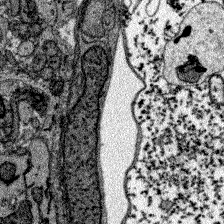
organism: Zebrafish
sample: Larval olfactory bulb